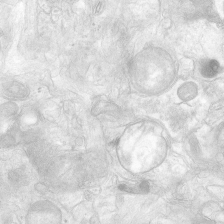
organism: Human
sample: Neocortex